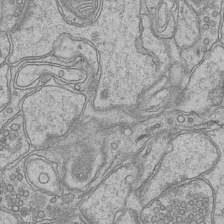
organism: Mouse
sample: CA1 Hippocampus